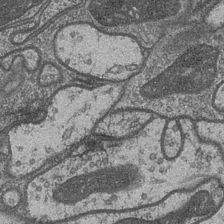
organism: Drosophila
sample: Optic medulla